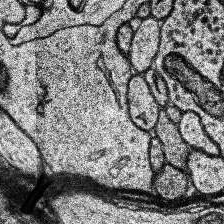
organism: Human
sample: Temporal Lobe